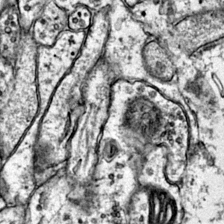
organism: Mouse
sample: Primary visual cortex